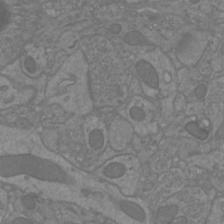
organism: Mouse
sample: Cortical neurons